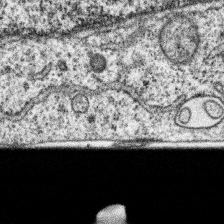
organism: Human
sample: HeLa cells